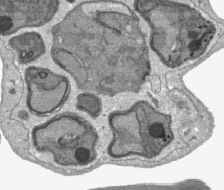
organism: Plasmodium falciparum